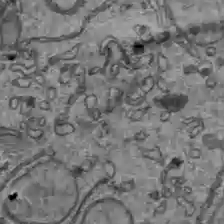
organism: C57BL Mouse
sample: Liver